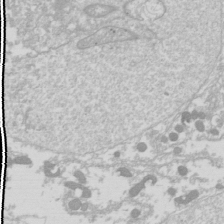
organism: Drosophila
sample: Cell division; meiosis; drosophila spermatocytes